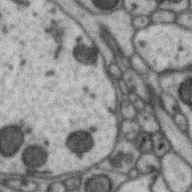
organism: Zebra finch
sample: Brain